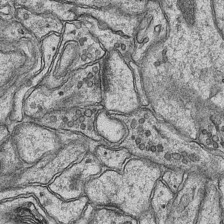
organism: Mouse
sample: CA1 Hippocampus